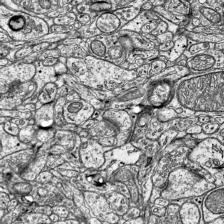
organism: Mouse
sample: Visual Cortex